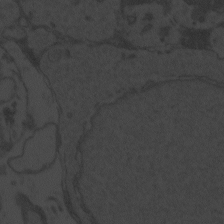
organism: Zebrafish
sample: Macrophage infected with Toxoplasma gondii